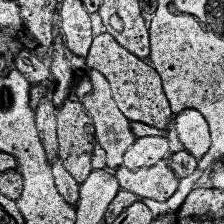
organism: Human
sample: Temporal Lobe